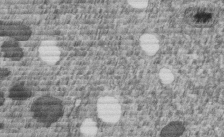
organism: C. elegans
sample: C. elegans embryo early stage